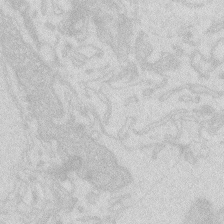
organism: Zebrafish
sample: Macrophage